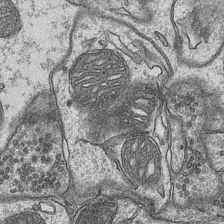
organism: Mouse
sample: CA1 Hippocampus